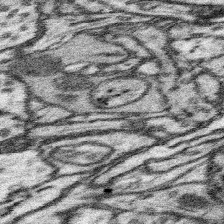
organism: Mouse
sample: Somatosensory cortex neuropil